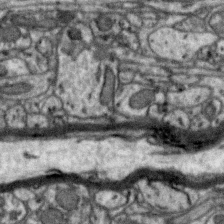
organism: Zebra finch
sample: Brain